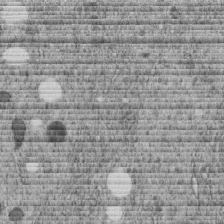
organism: C. elegans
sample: C. elegans embryo early stage